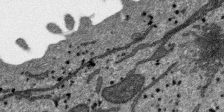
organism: Human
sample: Lung epithelial cells, uninfected (mock) control